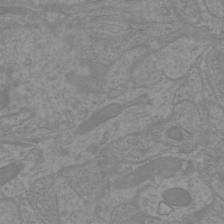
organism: Mouse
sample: Cortical neurons